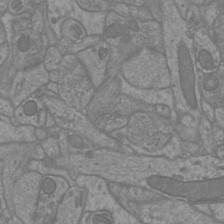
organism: Mouse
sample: Cortical neurons